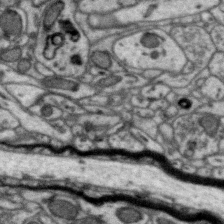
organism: Zebra finch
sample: Brain